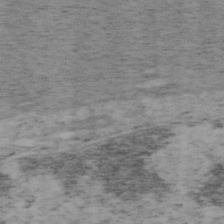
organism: Mouse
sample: OT-I killer T cells with ID8 ovarian cancer cells